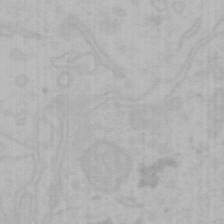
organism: Mouse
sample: Choroid plexus